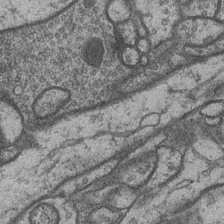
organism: Drosophila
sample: Optic medulla